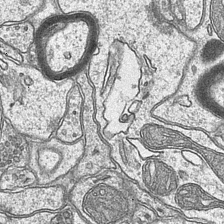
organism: Mouse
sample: CA1 Hippocampus